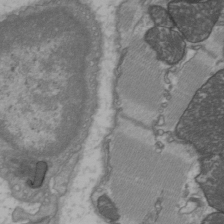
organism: C57BL Mouse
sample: Heart